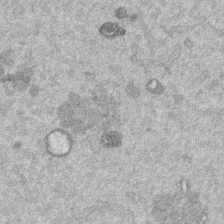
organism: Mouse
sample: Dividing mouse embryo 1 cell stage